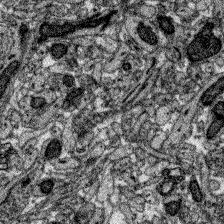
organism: Zebrafish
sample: Larval olfactory bulb